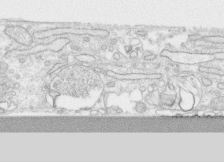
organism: Human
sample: CRL-1474